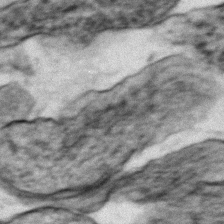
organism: Zebrafish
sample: Zebrafish embryo